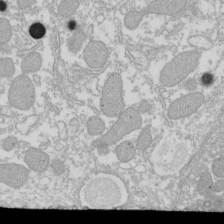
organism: Xenopus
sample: Cilia; centrioles in frog embryo cells